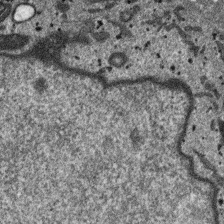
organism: Human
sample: Lung epithelial cells infected with SARS-CoV-2